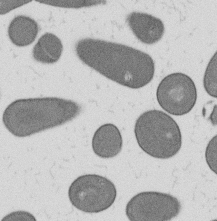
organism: B. subtilis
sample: Bacterial spore